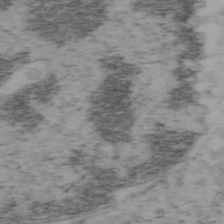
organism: Mouse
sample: OT-I killer T cells with ID8 ovarian cancer cells